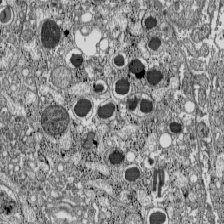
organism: C57BL Mouse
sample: Pancreatic islet